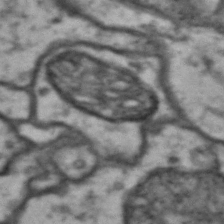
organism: Drosophila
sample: Brain